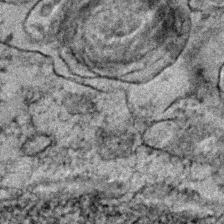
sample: Trachea